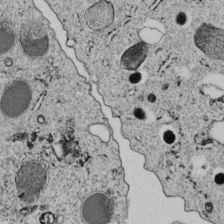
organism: C. elegans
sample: C. elegans embryo early stage